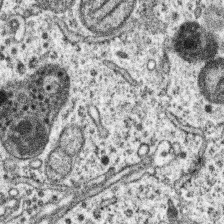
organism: Human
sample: HeLa cells